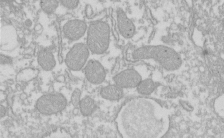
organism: Xenopus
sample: Cilia; centrioles in frog embryo cells